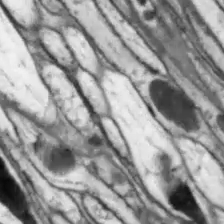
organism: Drosophila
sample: Optic lobe